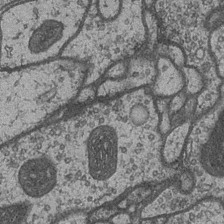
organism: Drosophila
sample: Optic medulla